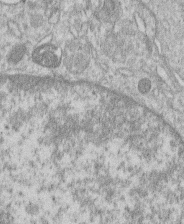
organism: Human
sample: Macrophage cells